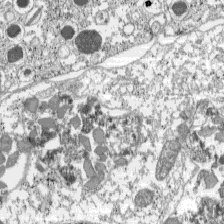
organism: C57BL Mouse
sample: Pancreatic islet